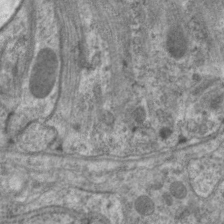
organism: C. elegans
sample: Pharynx